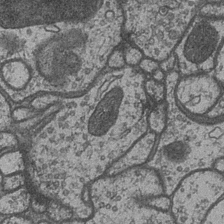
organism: Drosophila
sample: Optic medulla